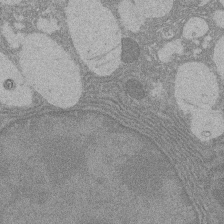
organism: Rat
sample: Salivary granule